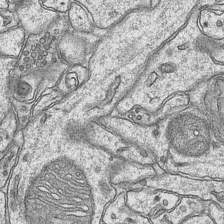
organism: Mouse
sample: CA1 Hippocampus